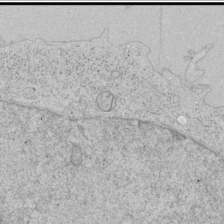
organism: Human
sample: Mitochondria in HCT116 cells